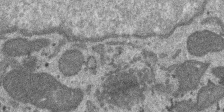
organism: Human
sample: Lung epithelial cells infected with SARS-CoV-2